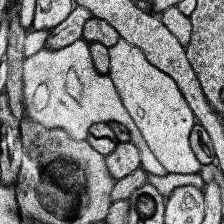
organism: Human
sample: Temporal Lobe